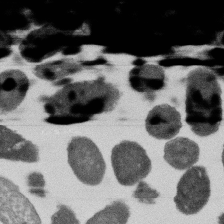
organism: E. coli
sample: Bacterial nucleoid